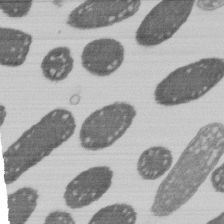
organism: E. coli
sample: Bacterial nucleoid